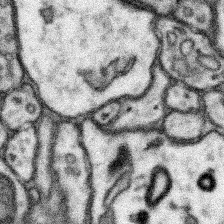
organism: Mouse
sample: Somatosensory cortex neuropil